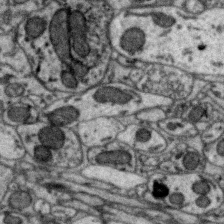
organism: Zebra finch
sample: Brain